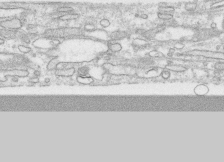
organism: Human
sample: CRL-1474